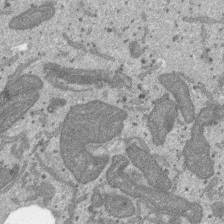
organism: Human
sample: Lung epithelial cells infected with SARS-CoV-2